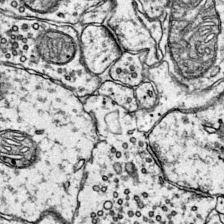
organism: Mouse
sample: Primary visual cortex